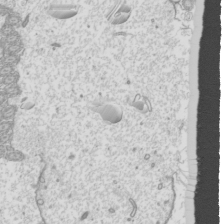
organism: Mouse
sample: Cilia; mouse epididymis